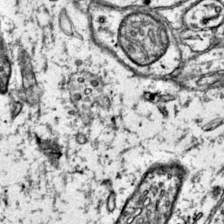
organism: Mouse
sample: Primary visual cortex